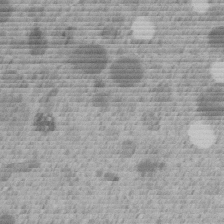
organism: C. elegans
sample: C. elegans embryo early stage